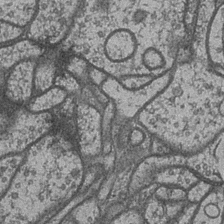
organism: Drosophila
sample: Optic medulla